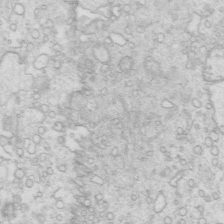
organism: Mouse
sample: Multiciliated cells